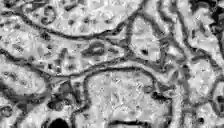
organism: Zebrafish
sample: Brain